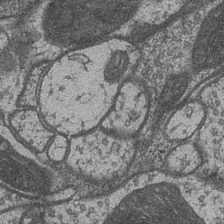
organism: Drosophila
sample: Optic medulla